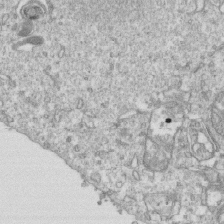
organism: Mouse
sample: Activated OT-1 CD8+ T cells